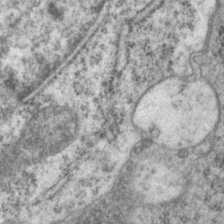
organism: P. pacificus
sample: Pharynx